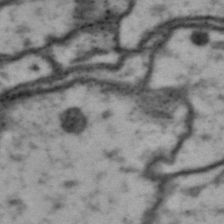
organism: Drosophila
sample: Brain